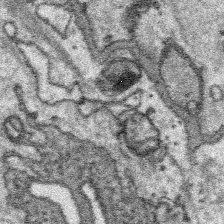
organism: Platynereis dumerilii